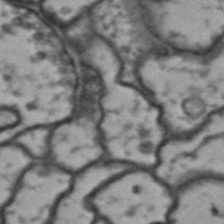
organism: Drosophila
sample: Brain